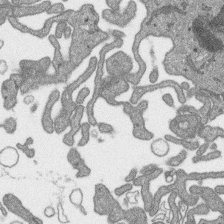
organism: Human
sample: Lung epithelial cells infected with SARS-CoV-2